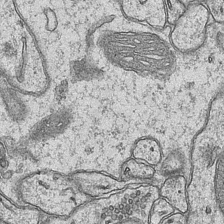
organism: Mouse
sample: CA1 Hippocampus